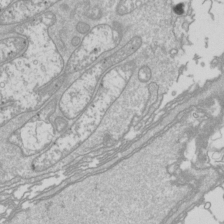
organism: Drosophila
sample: Cell division; meiosis; drosophila spermatocytes